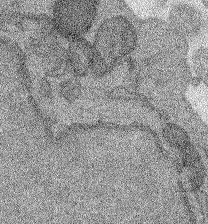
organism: Human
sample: HeLa cells